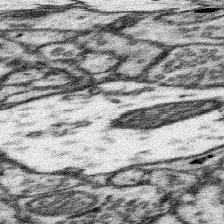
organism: Mouse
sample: Somatosensory cortex neuropil